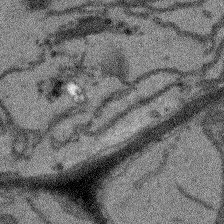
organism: Arabidopsis thaliana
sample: Root tip